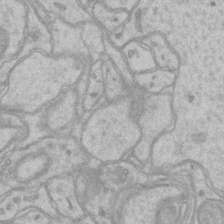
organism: Mouse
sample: CA1 Hippocampus